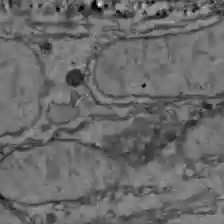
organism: C57BL Mouse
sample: Liver